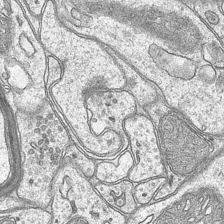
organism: Mouse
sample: CA1 Hippocampus